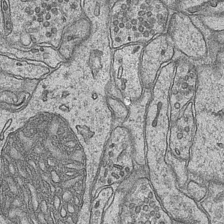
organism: Mouse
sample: CA1 Hippocampus